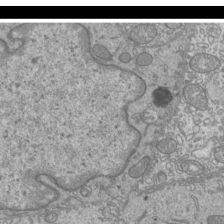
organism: Mouse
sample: Cilia; mouse epididymis